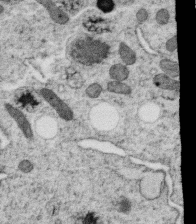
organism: C. elegans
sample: C. elegans oocyte; sperm cells